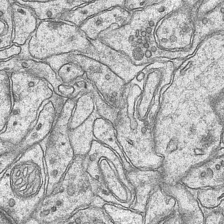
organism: Mouse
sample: CA1 Hippocampus